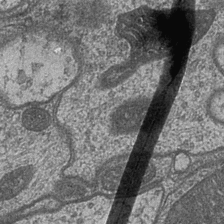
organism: Drosophila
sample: Optic medulla